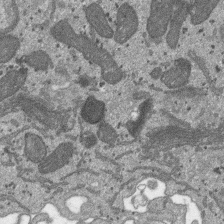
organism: Human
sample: Lung epithelial cells infected with SARS-CoV-2